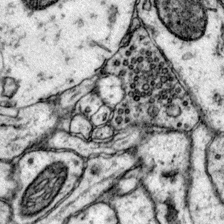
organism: Mouse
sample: Primary visual cortex